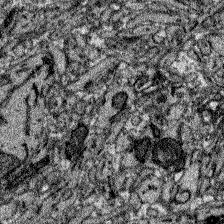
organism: Zebrafish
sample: Larval olfactory bulb